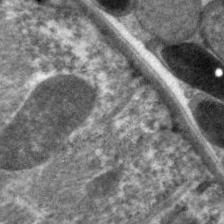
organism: C. elegans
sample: Pharynx